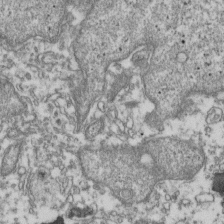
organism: Human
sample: Activated Jurkat CD4+ T cells